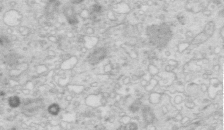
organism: Mouse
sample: Multiciliated cells